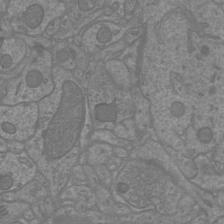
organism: Mouse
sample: Cortical neurons